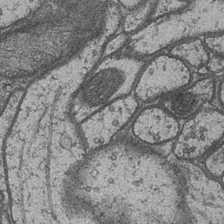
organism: Drosophila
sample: Optic medulla